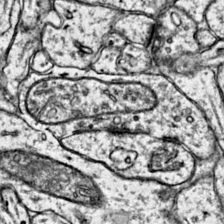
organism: Mouse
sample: Primary visual cortex